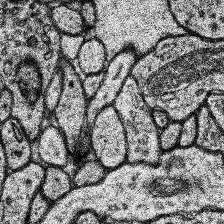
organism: Human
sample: Temporal Lobe